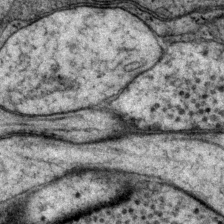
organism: P. pacificus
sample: Pharynx